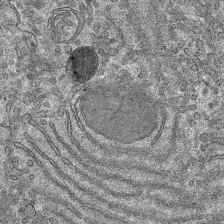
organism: Mouse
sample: Mouse hepatocytes